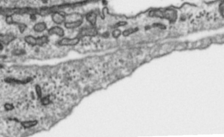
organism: Toxoplasma gondii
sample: Parasites in a vacuole inside a host cell